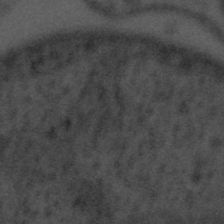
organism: Tuwongella immobilis